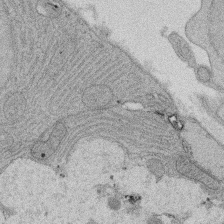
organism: Rat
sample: Salivary granule